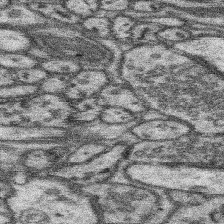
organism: Mouse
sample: Somatosensory cortex neuropil